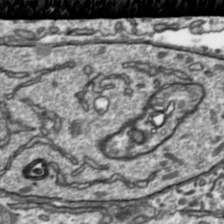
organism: Toxoplasma gondii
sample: Parasites in a vacuole inside a host cell